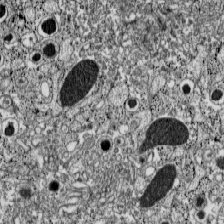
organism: C57BL Mouse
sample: Pancreatic islet